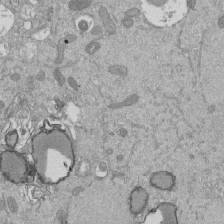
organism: Mouse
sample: ED-1 cell nuclei; centrioles